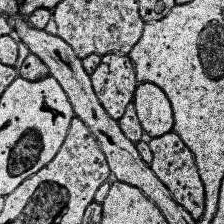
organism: Human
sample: Temporal Lobe